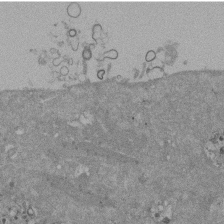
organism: Mouse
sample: ED-1 cell nuclei; centrioles